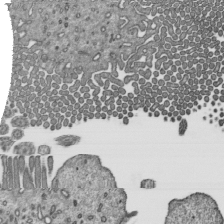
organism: Mouse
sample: Mouse epididymis efferent ductule cilia